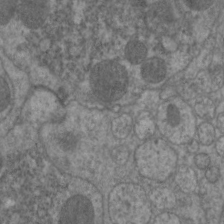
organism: C. elegans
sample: Pharynx